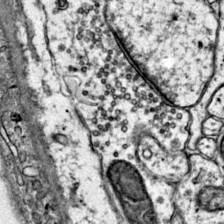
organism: Mouse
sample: Primary visual cortex